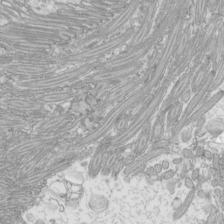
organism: Mouse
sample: Cilia; mouse epididymis